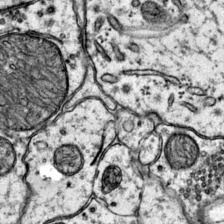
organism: Mouse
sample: Primary visual cortex